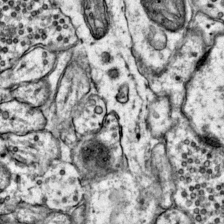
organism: Mouse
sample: Primary visual cortex